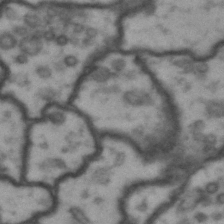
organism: Drosophila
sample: Brain